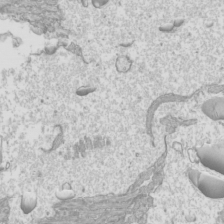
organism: Mouse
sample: Cilia; mouse epididymis